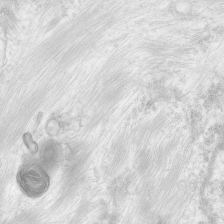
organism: Human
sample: Neocortex